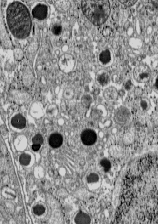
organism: C57BL Mouse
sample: Pancreatic islet